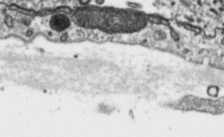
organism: Toxoplasma gondii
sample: Parasites in a vacuole inside a host cell